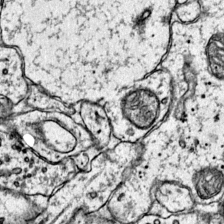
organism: Mouse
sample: Primary visual cortex